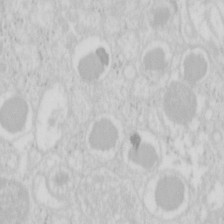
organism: Mouse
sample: Pancreas